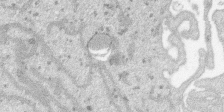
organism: Human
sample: Lung epithelial cells infected with SARS-CoV-2